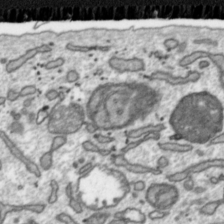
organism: Toxoplasma gondii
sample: Parasites in a vacuole inside a host cell